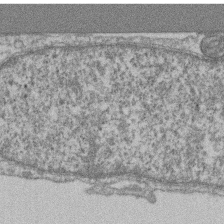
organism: Mouse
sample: T cell stromal cell synapse